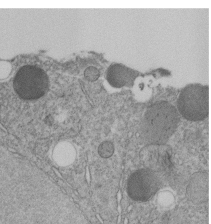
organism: C. elegans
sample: C. elegans embryo early stage